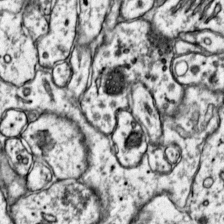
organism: Mouse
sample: Primary visual cortex